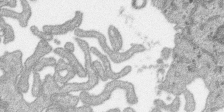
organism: Human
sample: Lung epithelial cells infected with SARS-CoV-2